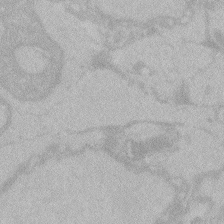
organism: Zebrafish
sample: Macrophage infected with Toxoplasma gondii